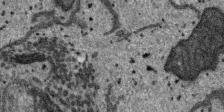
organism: Human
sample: Lung epithelial cells, uninfected (mock) control